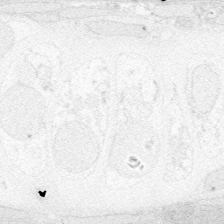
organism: Zebrafish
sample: Whole-Brain